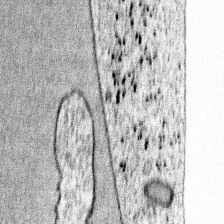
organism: Human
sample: HeLa cells